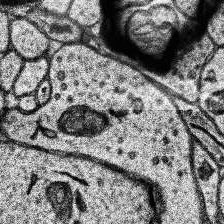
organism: Human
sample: Temporal Lobe